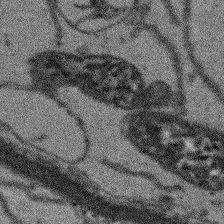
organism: Arabidopsis thaliana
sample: Root tip